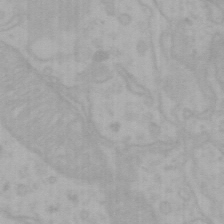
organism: Mouse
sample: Choroid plexus